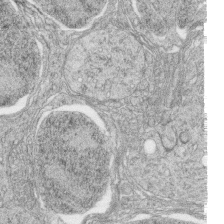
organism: Zebrafish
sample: synaptic ribbons in rod cells and cone cells